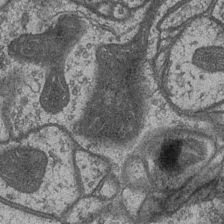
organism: Drosophila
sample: Optic medulla